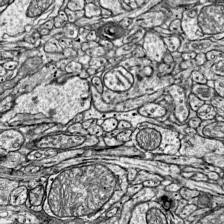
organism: Mouse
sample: Visual Cortex